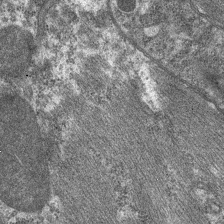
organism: C. elegans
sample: Pharynx